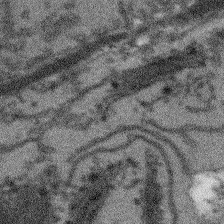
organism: Arabidopsis thaliana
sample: Root tip